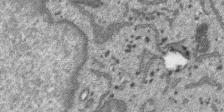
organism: Human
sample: Lung epithelial cells infected with SARS-CoV-2